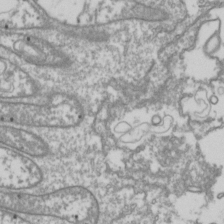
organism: Drosophila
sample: Cell division; meiosis; drosophila spermatocytes